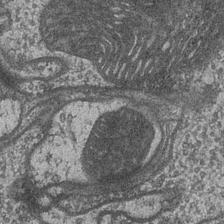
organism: Drosophila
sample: Optic medulla